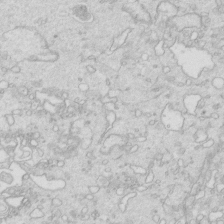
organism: Mouse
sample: Multiciliated cells